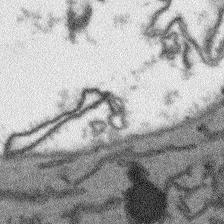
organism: Arabidopsis thaliana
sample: Root tip